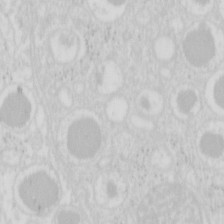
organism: Mouse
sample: Pancreas